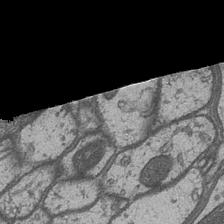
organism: Drosophila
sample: Optic medulla